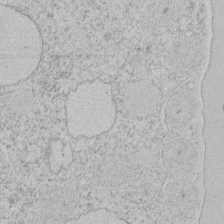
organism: Tetrahymena